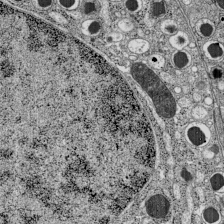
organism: C57BL Mouse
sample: Pancreatic islet